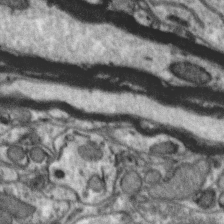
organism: Zebra finch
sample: Brain